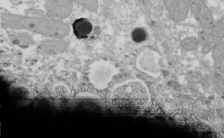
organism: Xenopus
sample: Cilia; centrioles in frog embryo cells